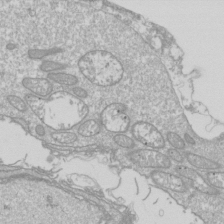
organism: Drosophila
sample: Cell division; meiosis; drosophila spermatocytes